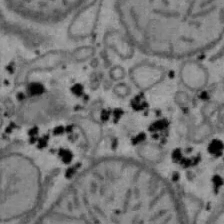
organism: Mouse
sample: Liver